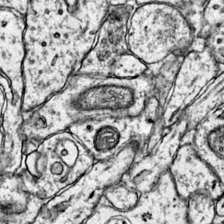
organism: Mouse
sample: Primary visual cortex